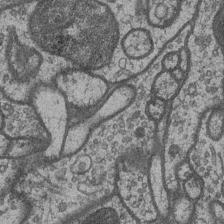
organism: Drosophila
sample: Optic medulla